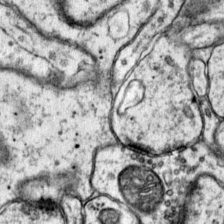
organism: Mouse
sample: Primary visual cortex